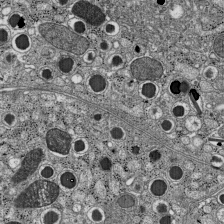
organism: C57BL Mouse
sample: Pancreatic islet